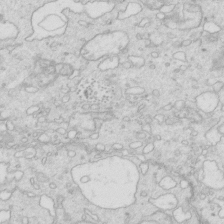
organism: Mouse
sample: Multiciliated cells